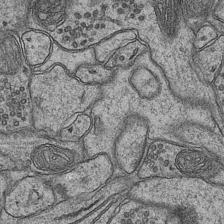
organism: Mouse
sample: CA1 Hippocampus